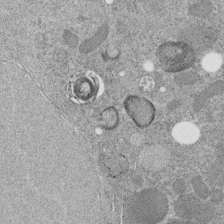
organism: C. elegans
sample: C. elegans embryo early stage